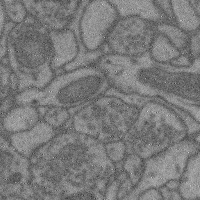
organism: Mouse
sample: Cerebral cortex